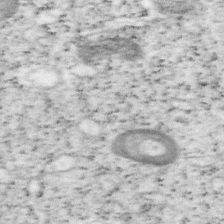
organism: Mouse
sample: OT-I killer T cells with ID8 ovarian cancer cells